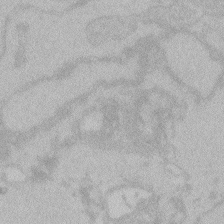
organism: Zebrafish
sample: Macrophage infected with Toxoplasma gondii